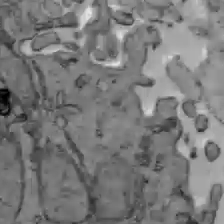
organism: C57BL Mouse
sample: Liver